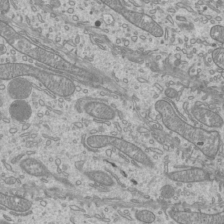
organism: Mouse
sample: Cilia; mouse epididymis